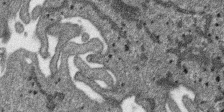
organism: Human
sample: Lung epithelial cells infected with SARS-CoV-2